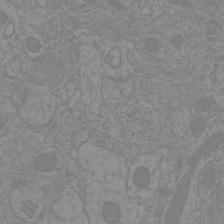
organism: Mouse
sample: Cortical neurons